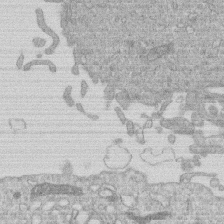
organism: Human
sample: Macrophage cells